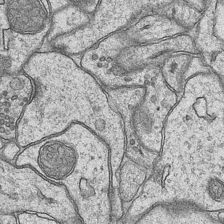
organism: Mouse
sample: CA1 Hippocampus